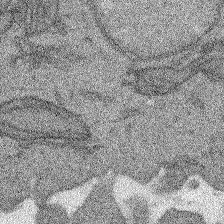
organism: Human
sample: HeLa cells